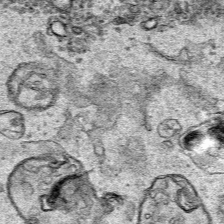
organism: Human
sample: Mitochondria in HCT116 cells